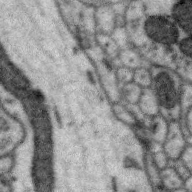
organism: Zebra finch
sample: Brain